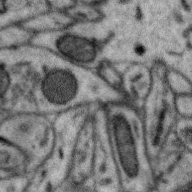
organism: Zebra finch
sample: Brain